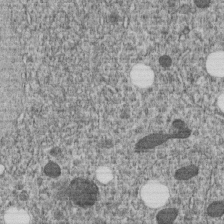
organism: C. elegans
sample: C. elegans embryo early stage